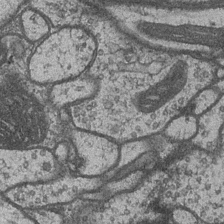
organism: Drosophila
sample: Optic medulla